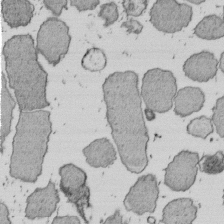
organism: E. coli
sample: Bacterial nucleoid